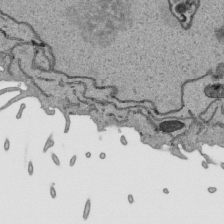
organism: Human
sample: Mitochondria in HCT116 cells